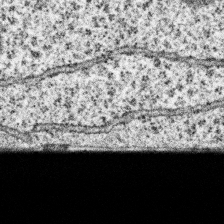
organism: Human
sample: HeLa cells